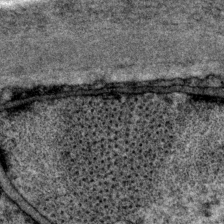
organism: P. pacificus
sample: Pharynx